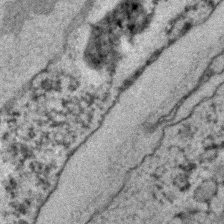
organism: C. elegans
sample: C. elegans embryo